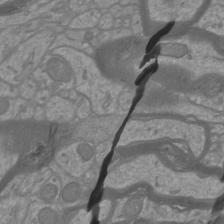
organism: Mouse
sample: Cortical neurons